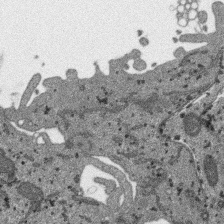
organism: Human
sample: Lung epithelial cells infected with SARS-CoV-2